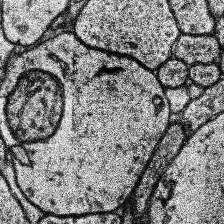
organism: Human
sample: Temporal Lobe